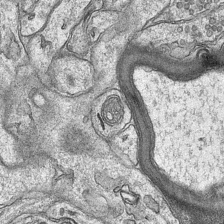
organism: Mouse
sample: CA1 Hippocampus